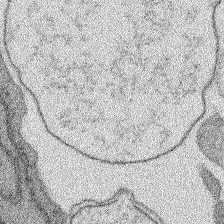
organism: Human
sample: HeLa cells